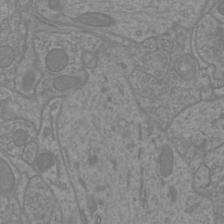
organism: Mouse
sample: Cortical neurons